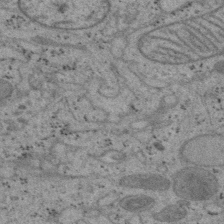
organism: Human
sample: HeLa cells